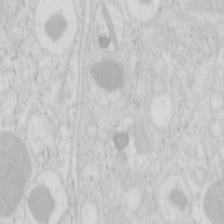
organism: Mouse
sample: Pancreas